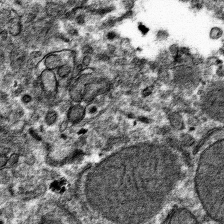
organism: Mouse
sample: Mouse hepatocytes